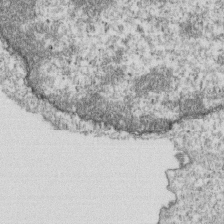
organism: Mouse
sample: Activated OT-1 CD8+ T cells